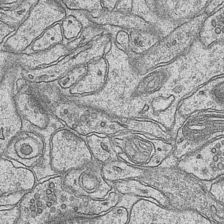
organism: Mouse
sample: CA1 Hippocampus